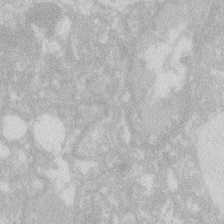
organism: Zebrafish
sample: Macrophage